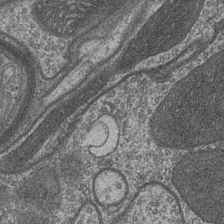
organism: Drosophila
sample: Optic medulla